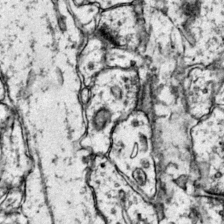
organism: Mouse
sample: Primary visual cortex